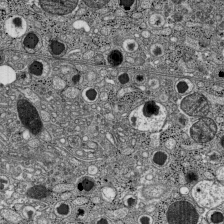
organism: C57BL Mouse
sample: Pancreatic islet